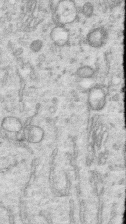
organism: Human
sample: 1205lu cells